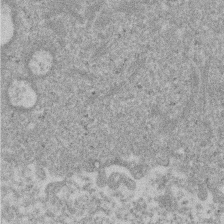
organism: Mouse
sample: Dividing mouse embryo 1 cell stage